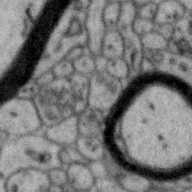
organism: Zebra finch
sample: Brain